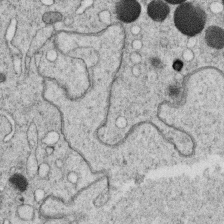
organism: C. elegans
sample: C. elegans oocyte; sperm cells